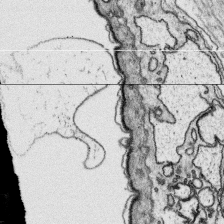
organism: Platynereis dumerilii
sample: Parapodia